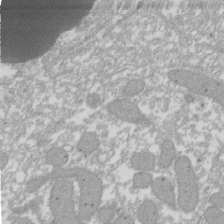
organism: Xenopus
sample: Cilia; centrioles in frog embryo cells